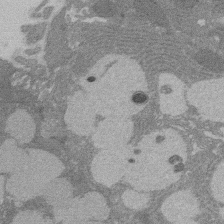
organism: Rat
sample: Salivary granule